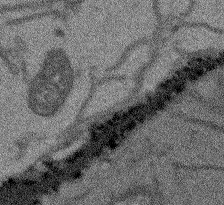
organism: Arabidopsis thaliana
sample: Root tip